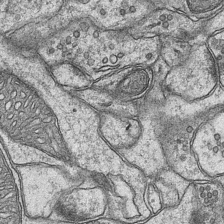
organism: Mouse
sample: CA1 Hippocampus